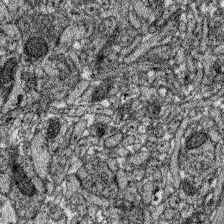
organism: Zebrafish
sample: Larval olfactory bulb